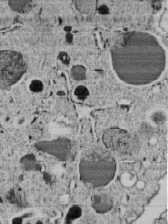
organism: C. elegans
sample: C. elegans embryo early stage